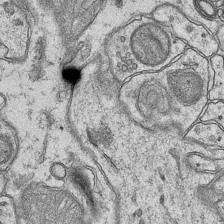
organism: Mouse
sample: CA1 Hippocampus